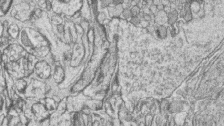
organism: Zebrafish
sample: synaptic ribbons in rod cells and cone cells